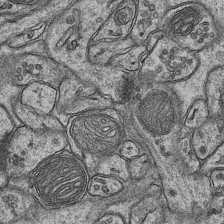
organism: Mouse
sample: CA1 Hippocampus